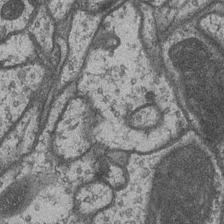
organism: Drosophila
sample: Optic medulla